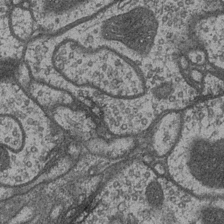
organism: Drosophila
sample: Optic medulla